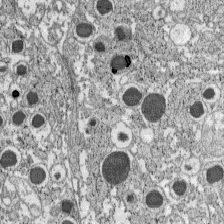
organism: C57BL Mouse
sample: Pancreatic islet